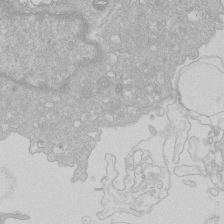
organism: Human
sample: Macrophage cells